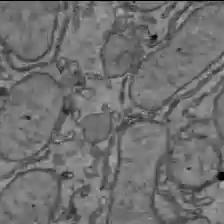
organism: C57BL Mouse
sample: Liver